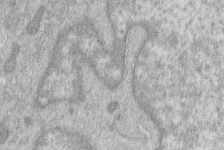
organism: Human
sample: Macrophage cells